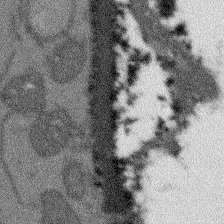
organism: Arabidopsis thaliana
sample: Root tip